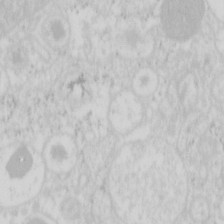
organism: Mouse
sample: Pancreas